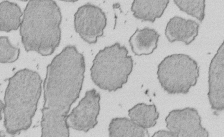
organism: E. coli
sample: Bacterial nucleoid